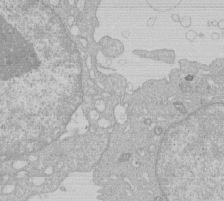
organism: Human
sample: Macrophage cells